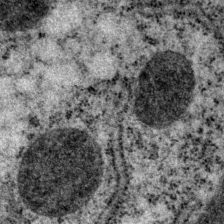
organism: P. pacificus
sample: Pharynx